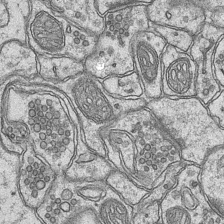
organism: Mouse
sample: CA1 Hippocampus